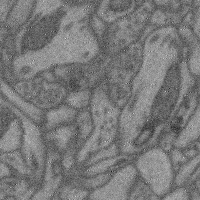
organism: Mouse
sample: Cerebral cortex